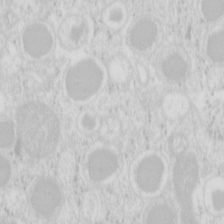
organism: Mouse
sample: Pancreas